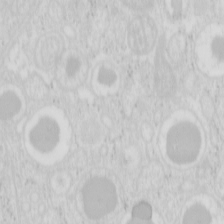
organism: Mouse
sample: Pancreas